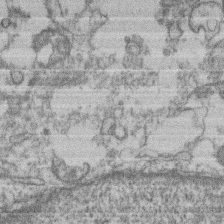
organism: Mouse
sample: T cell stromal cell synapse